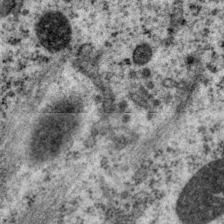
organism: P. pacificus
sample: Pharynx